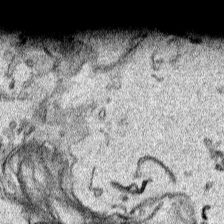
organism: Human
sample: Mitochondria in HCT116 cells